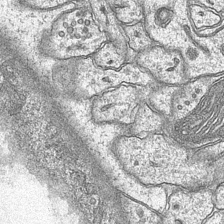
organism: Mouse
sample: CA1 Hippocampus